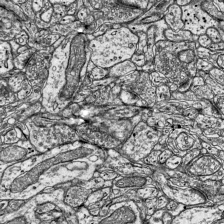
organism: Mouse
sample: Visual Cortex